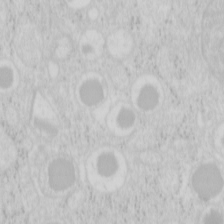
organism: Mouse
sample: Pancreas